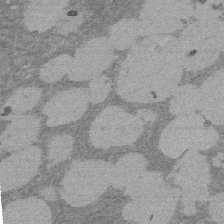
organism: Rat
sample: Salivary granule